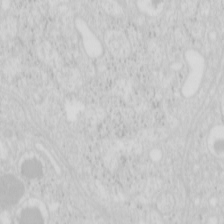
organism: Mouse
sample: Pancreas